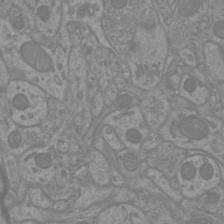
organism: Mouse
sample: Cortical neurons